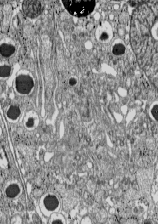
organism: C57BL Mouse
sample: Pancreatic islet